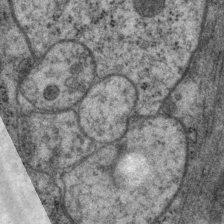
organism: P. pacificus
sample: Pharynx